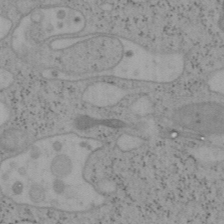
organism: Mouse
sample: OT-I killer T cells with ID8 ovarian cancer cells